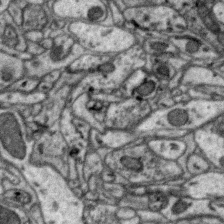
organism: Zebra finch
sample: Brain